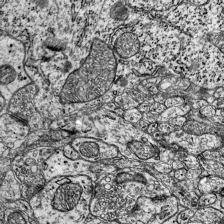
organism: Mouse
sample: Visual Cortex